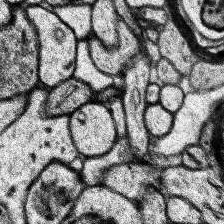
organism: Human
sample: Temporal Lobe